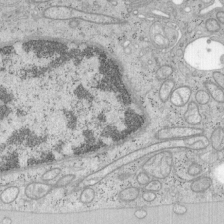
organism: Mouse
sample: OT-I killer T cells with ID8 ovarian cancer cells